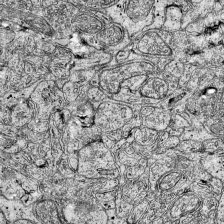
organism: Mouse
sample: Visual Cortex